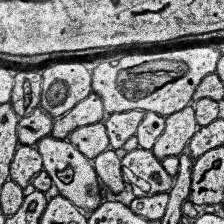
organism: Human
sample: Temporal Lobe